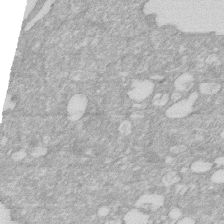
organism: Human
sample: HIV infected U937 cells